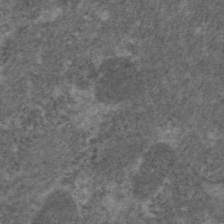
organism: C. elegans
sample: Pharynx